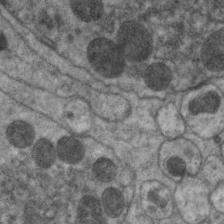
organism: C. elegans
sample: Pharynx